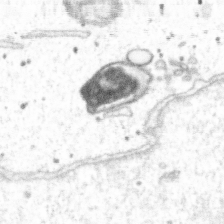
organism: Human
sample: HeLa cells